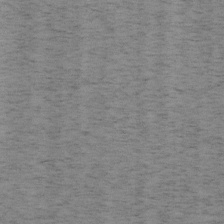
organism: Mouse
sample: OT-I killer T cells with ID8 ovarian cancer cells